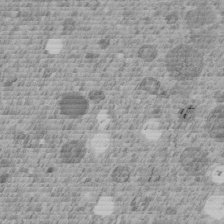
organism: C. elegans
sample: C. elegans embryo early stage